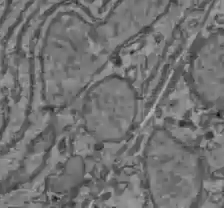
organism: C57BL Mouse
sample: Liver